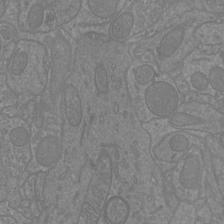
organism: Mouse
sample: Cortical neurons